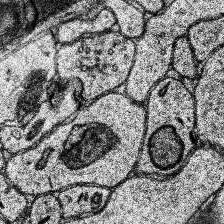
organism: Human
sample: Temporal Lobe